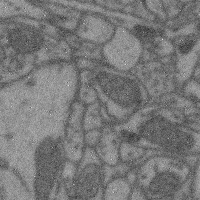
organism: Mouse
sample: Cerebral cortex